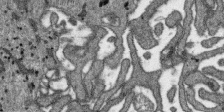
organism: Human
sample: Lung epithelial cells, uninfected (mock) control